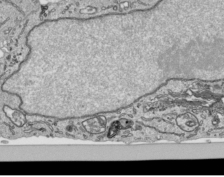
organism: Human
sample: Mitochondria in HCT116 cells